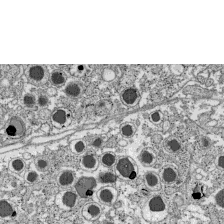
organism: C57BL Mouse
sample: Pancreatic islet